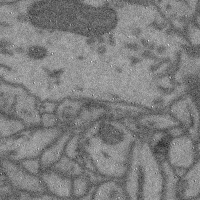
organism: Mouse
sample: Cerebral cortex